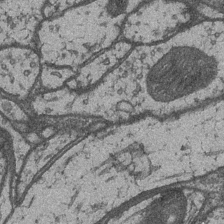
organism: Drosophila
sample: Optic medulla